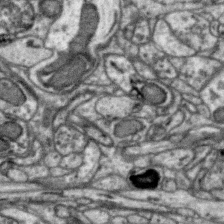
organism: Zebra finch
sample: Brain